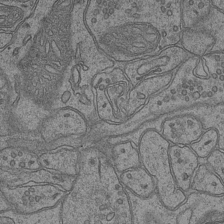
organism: Mouse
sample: CA1 Hippocampus